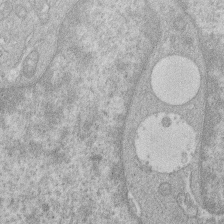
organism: Human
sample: Macrophage cells